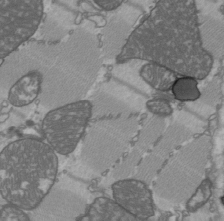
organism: C57BL Mouse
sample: Heart